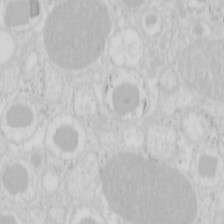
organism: Mouse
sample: Pancreas